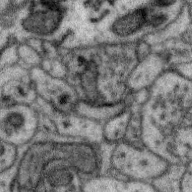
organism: Zebra finch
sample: Brain